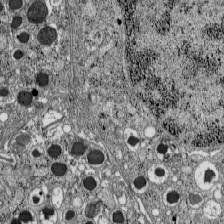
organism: C57BL Mouse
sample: Pancreatic islet